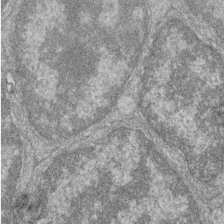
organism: Zebrafish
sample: Cilia; retinal pigment epithelium